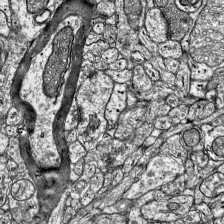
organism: Mouse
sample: Visual Cortex